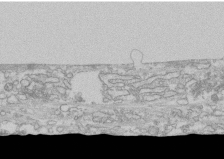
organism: Human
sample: CRL-1474